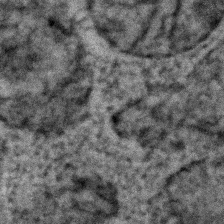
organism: C. elegans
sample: C. elegans embryo